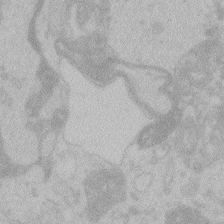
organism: Zebrafish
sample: Macrophage infected with Toxoplasma gondii